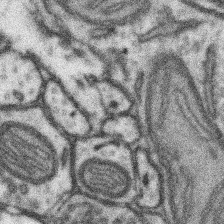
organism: Mouse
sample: Somatosensory cortex neuropil